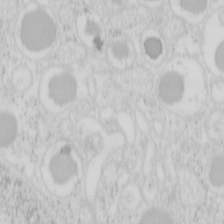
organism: Mouse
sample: Pancreas